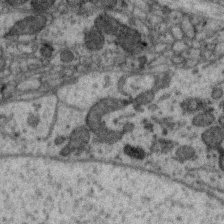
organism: Zebra finch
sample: Brain